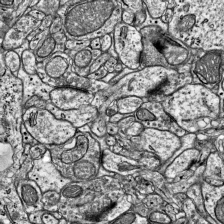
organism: Mouse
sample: Visual Cortex